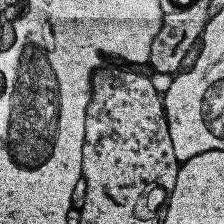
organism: Human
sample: Temporal Lobe